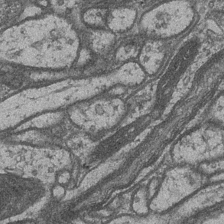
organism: Drosophila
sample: Optic medulla